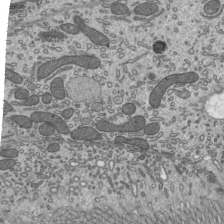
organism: Mouse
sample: Mouse epididymis efferent ductule cilia